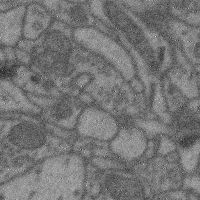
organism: Mouse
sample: Cerebral cortex